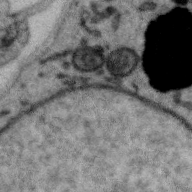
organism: Zebra finch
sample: Brain